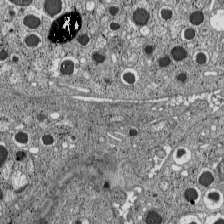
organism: C57BL Mouse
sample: Pancreatic islet